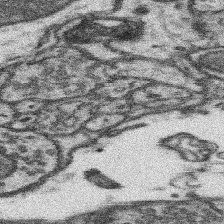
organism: Mouse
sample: Somatosensory cortex neuropil